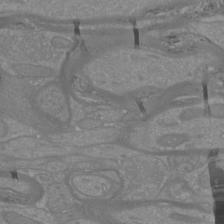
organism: Mouse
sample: Cortical neurons